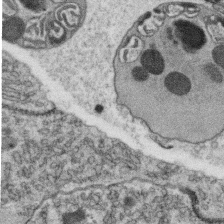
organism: C. elegans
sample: C. elegans oocyte; sperm cells